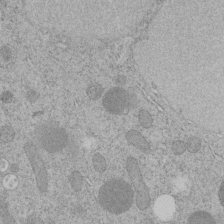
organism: C. elegans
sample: C. elegans embryo early stage